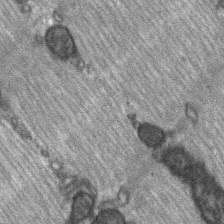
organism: C57BL Mouse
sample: Soleus